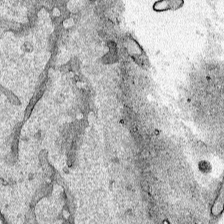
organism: Human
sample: Mitochondria in HCT116 cells